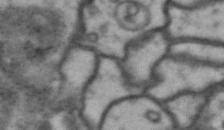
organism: Drosophila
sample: Brain